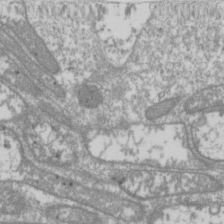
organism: Drosophila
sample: Cell division; meiosis; drosophila spermatocytes